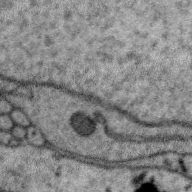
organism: Zebra finch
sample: Brain